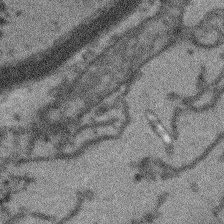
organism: Arabidopsis thaliana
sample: Root tip